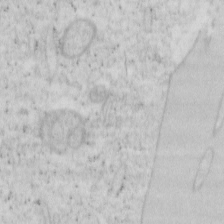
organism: Human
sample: HeLa cells